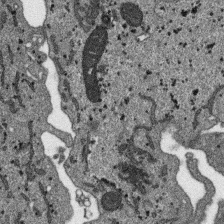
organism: Human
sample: Lung epithelial cells infected with SARS-CoV-2